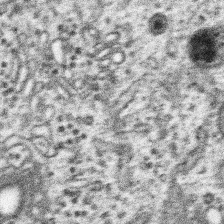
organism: Human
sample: HeLa cells